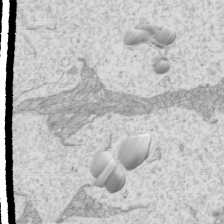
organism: Mouse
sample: Cilia; mouse epididymis